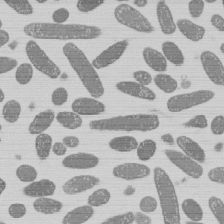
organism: E. coli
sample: Bacterial nucleoid